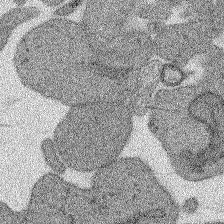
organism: Human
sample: HeLa cells